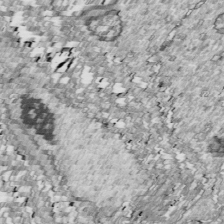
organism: Drosophila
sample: Cell division; meiosis; drosophila spermatocytes